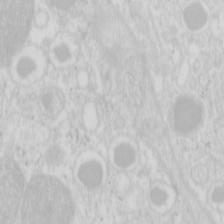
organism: Mouse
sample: Pancreas